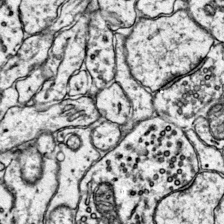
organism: Mouse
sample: Primary visual cortex